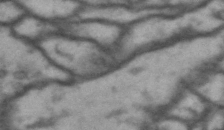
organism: Drosophila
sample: Brain